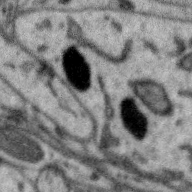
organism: Zebra finch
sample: Brain